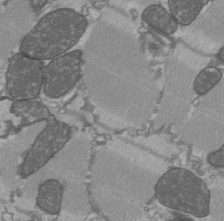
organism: C57BL Mouse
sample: Heart